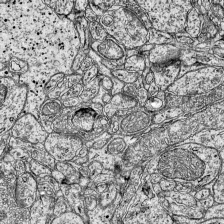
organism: Mouse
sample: Visual Cortex